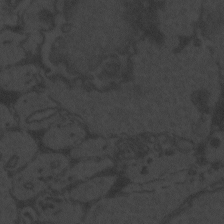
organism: Zebrafish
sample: Macrophage infected with Toxoplasma gondii